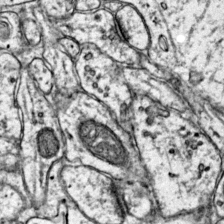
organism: Mouse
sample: Primary visual cortex